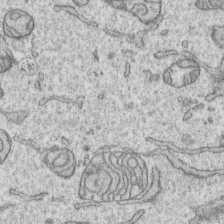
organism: Human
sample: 1205lu cells